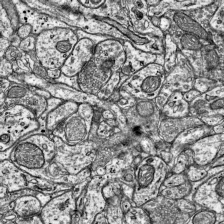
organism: Mouse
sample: Visual Cortex